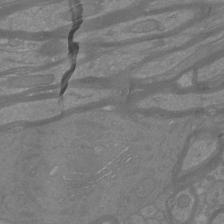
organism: Mouse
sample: Cortical neurons